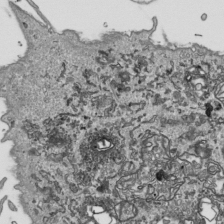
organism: Human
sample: Mitochondria in HCT116 cells